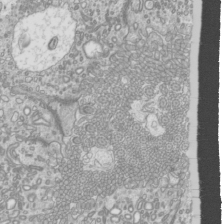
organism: Mouse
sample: Cilia; mouse epididymis